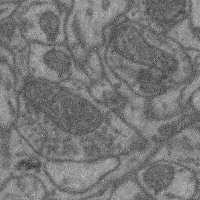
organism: Mouse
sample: Cerebral cortex